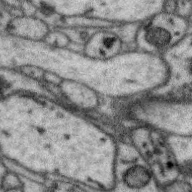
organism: Zebra finch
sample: Brain